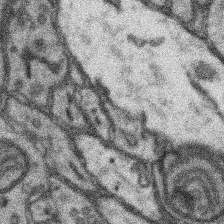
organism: Mouse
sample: Somatosensory cortex neuropil